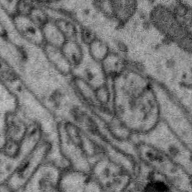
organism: Zebra finch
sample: Brain